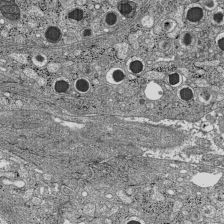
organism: C57BL Mouse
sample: Pancreatic islet